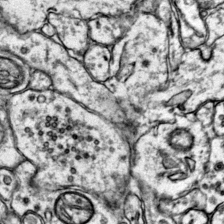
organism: Mouse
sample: Primary visual cortex